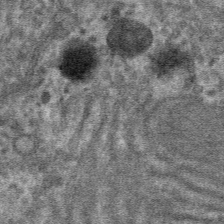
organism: Mouse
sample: Mouse hepatocytes